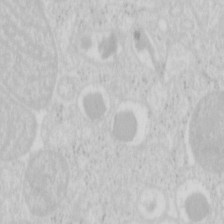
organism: Mouse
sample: Pancreas